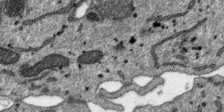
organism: Human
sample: Lung epithelial cells, uninfected (mock) control